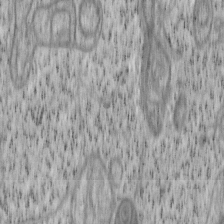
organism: Human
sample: HeLa cells